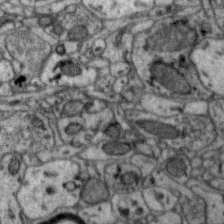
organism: Zebra finch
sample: Brain